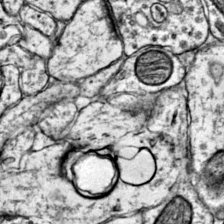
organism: Mouse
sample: Primary visual cortex